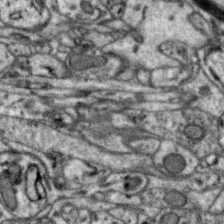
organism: Zebra finch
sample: Brain